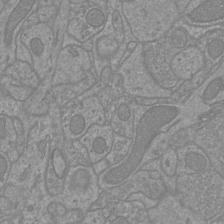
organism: Mouse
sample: Cortical neurons